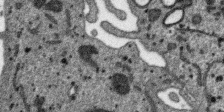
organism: Human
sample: Lung epithelial cells infected with SARS-CoV-2